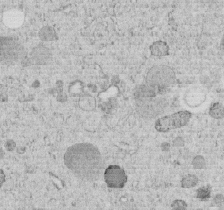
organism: C. elegans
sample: C. elegans embryo early stage